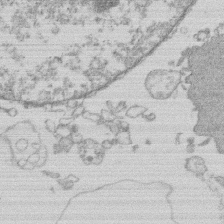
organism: Human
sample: Macrophage cells